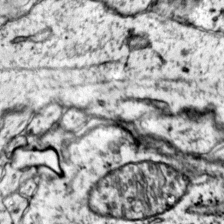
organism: Mouse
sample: Primary visual cortex